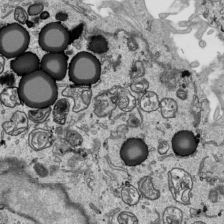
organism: Human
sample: Mitochondria in HCT116 cells